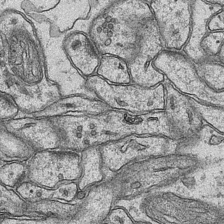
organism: Mouse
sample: CA1 Hippocampus